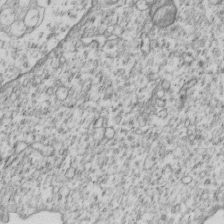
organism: Human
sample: MDA-MB-231 cells